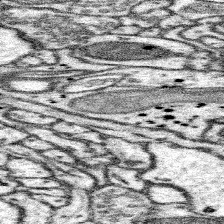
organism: Mouse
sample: Somatosensory cortex neuropil